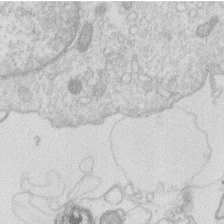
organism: Human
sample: Macrophage cells